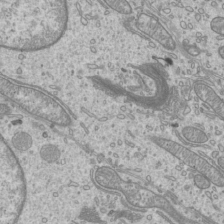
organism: Mouse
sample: Cilia; mouse epididymis